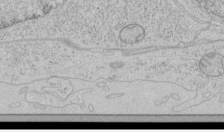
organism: Human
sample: Mitochondria in HCT116 cells